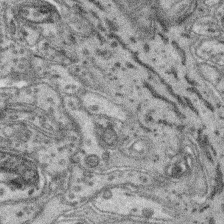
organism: Mouse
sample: Retina